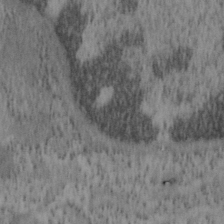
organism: Mouse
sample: OT-I killer T cells with ID8 ovarian cancer cells